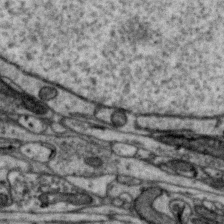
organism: Zebra finch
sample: Brain